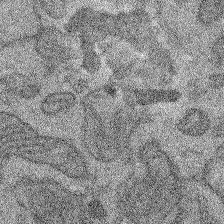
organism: Human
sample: HeLa cells